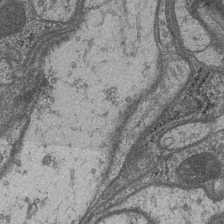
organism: Drosophila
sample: Optic medulla